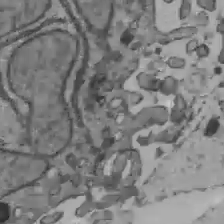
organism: C57BL Mouse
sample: Liver